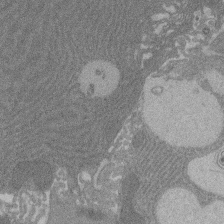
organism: Rat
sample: Salivary granule